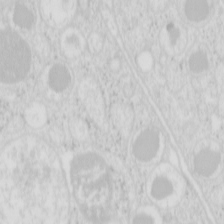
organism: Mouse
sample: Pancreas